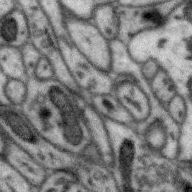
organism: Zebra finch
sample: Brain